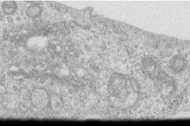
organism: Human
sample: Centriole in RPE cells